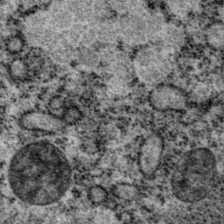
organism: P. pacificus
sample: Pharynx